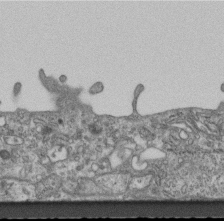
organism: Mouse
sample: Centriole in ependymal cells